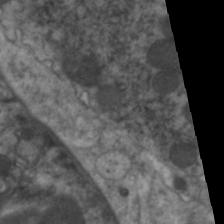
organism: C. elegans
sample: Pharynx